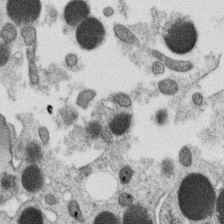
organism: C. elegans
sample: C. elegans oocyte; sperm cells